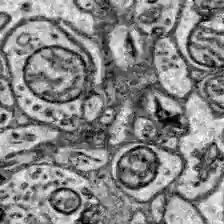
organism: Zebrafish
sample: Brain